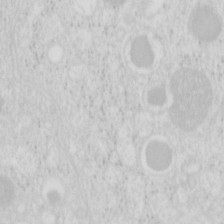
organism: Mouse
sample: Pancreas